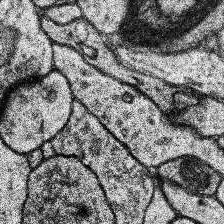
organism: Human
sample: Temporal Lobe